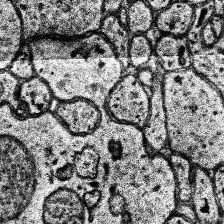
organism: Human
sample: Temporal Lobe